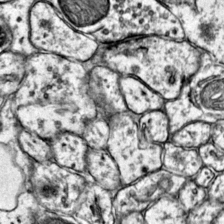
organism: Mouse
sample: Primary visual cortex